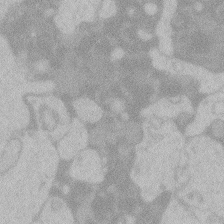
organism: Zebrafish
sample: Macrophage infected with Toxoplasma gondii